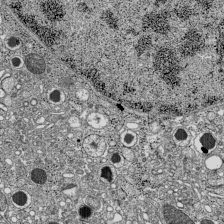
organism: C57BL Mouse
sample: Pancreatic islet